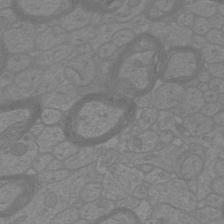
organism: Mouse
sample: Cortical neurons